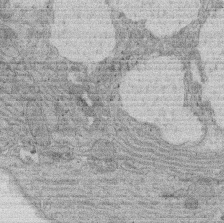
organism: Rat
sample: Salivary granule